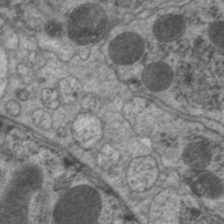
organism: C. elegans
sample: Pharynx